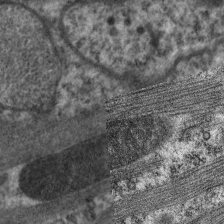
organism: C. elegans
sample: Pharynx